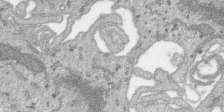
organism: Human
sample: Lung epithelial cells infected with SARS-CoV-2